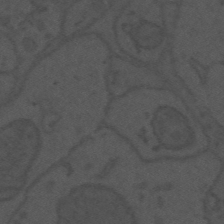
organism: Mouse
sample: Suprachiasmatic nucleus